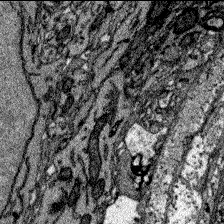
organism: Zebrafish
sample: Larval olfactory bulb